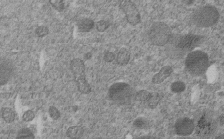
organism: C. elegans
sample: C. elegans embryo early stage